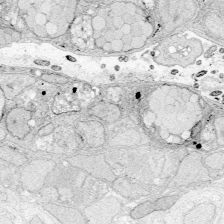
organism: Zebrafish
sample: Whole-Brain